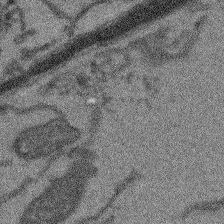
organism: Arabidopsis thaliana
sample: Root tip